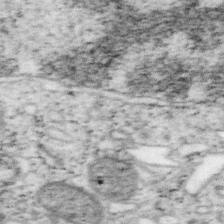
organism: Mouse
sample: OT-I killer T cells with ID8 ovarian cancer cells